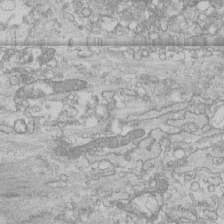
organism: Human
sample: CRL-1474